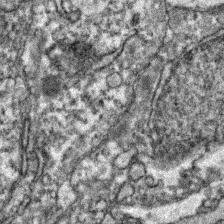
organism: Zebrafish